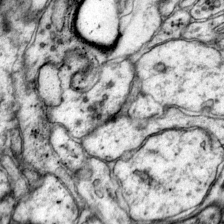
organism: Mouse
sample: Primary visual cortex